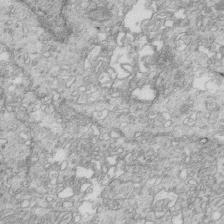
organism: Mouse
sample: Multiciliated cells